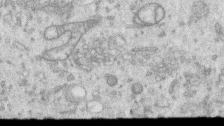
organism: Human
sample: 1205lu cells